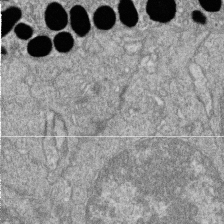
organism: Zebrafish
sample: Cilia; retinal pigment epithelium